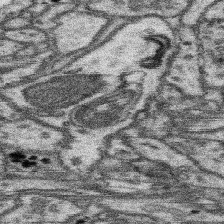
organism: Mouse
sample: Somatosensory cortex neuropil